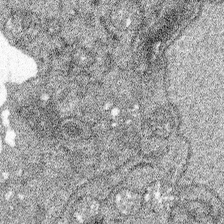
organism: Spongilla lacustris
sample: Multiple